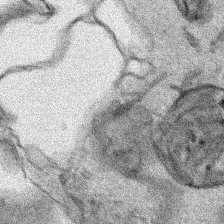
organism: Human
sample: Mitochondria in HCT116 cells